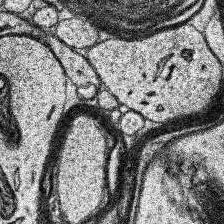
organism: Human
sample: Temporal Lobe